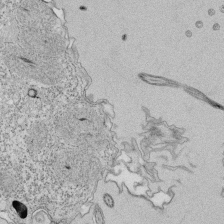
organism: Tetrahymena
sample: Cilia in tetrahymena